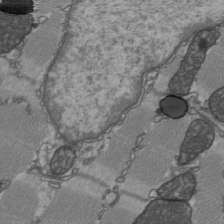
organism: C57BL Mouse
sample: Heart